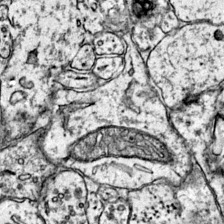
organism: Mouse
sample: Primary visual cortex